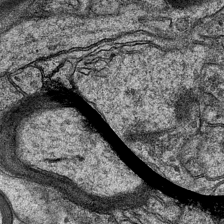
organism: Mouse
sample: CA1 Hippocampus